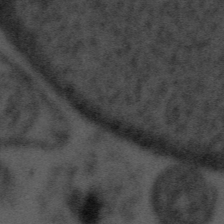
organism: Tuwongella immobilis